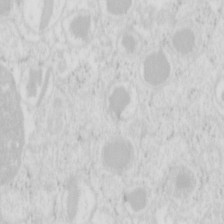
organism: Mouse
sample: Pancreas